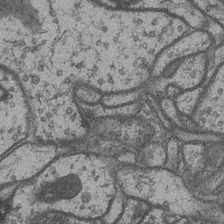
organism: Drosophila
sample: Optic medulla